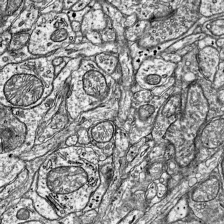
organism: Mouse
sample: Visual Cortex